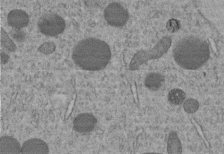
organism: C. elegans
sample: C. elegans embryo early stage